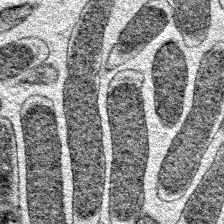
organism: E. coli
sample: E. Coli Bacteria